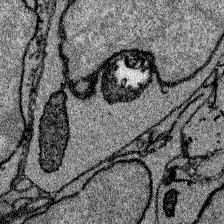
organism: Zebrafish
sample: Larval olfactory bulb